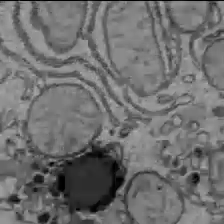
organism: C57BL Mouse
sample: Liver